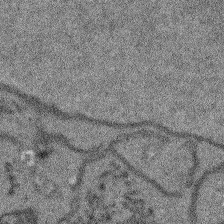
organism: Arabidopsis thaliana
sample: Root tip